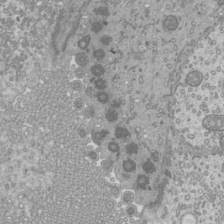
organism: Mouse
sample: Cilia; mouse epididymis